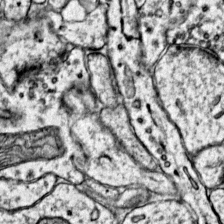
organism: Mouse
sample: Primary visual cortex